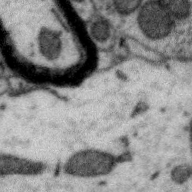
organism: Zebra finch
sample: Brain